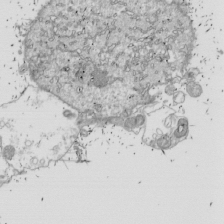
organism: Drosophila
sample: Cell division; meiosis; drosophila spermatocytes